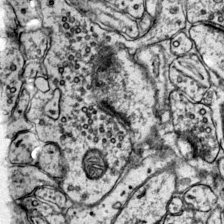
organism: Mouse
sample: Primary visual cortex